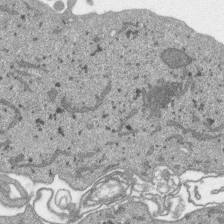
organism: Human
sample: Lung epithelial cells infected with SARS-CoV-2